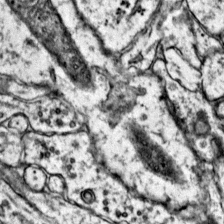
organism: Mouse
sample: Primary visual cortex